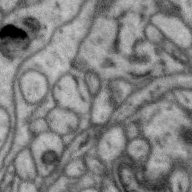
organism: Zebra finch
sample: Brain